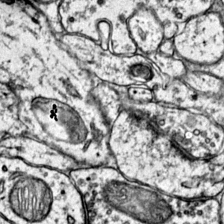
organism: Mouse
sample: Primary visual cortex